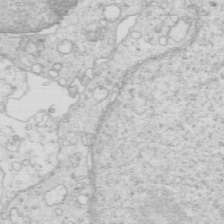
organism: Mouse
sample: Multiciliated cells